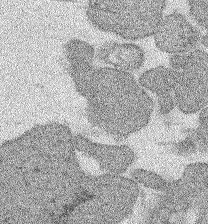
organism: Human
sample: HeLa cells